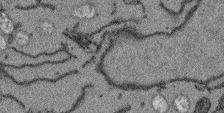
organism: Arabidopsis thaliana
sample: Root tip